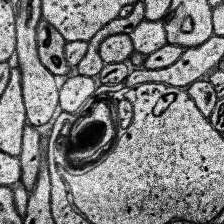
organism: Human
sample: Temporal Lobe